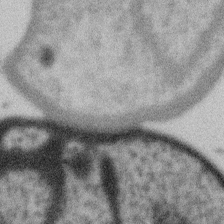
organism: Gemmata obscuriglobus